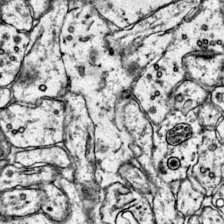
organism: Mouse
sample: Primary visual cortex